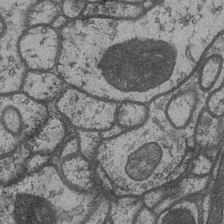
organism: Drosophila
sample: Optic medulla